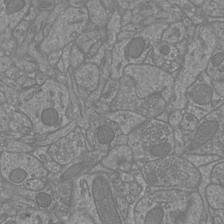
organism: Mouse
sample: Cortical neurons